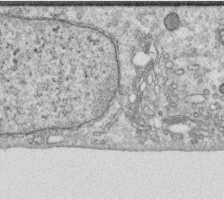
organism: Human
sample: Centriole in RPE cells